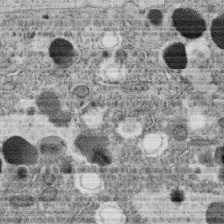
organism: C. elegans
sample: C. elegans oocyte; sperm cells